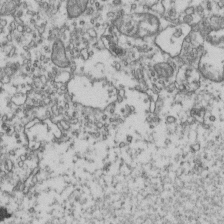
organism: Human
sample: Activated Jurkat CD4+ T cells